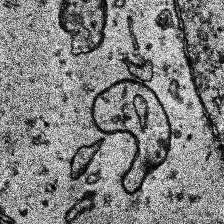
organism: Human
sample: Temporal Lobe